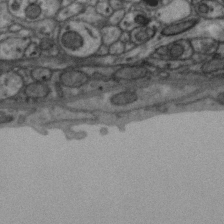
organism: Zebra finch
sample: Brain